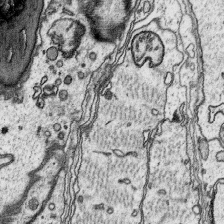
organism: Platynereis dumerilii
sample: Parapodia